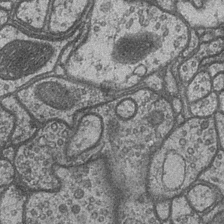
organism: Drosophila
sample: Optic medulla